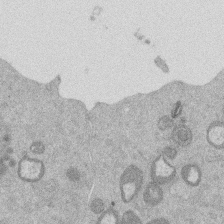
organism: Mouse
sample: Dividing mouse embryo 1 cell stage